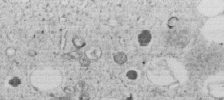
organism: C. elegans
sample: C. elegans embryo early stage